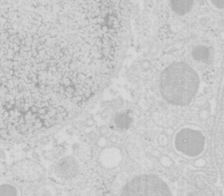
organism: Mouse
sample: Pancreas